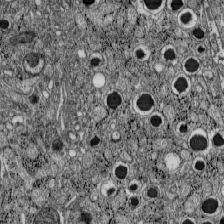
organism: C57BL Mouse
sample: Pancreatic islet